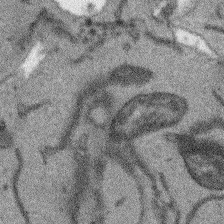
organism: Arabidopsis thaliana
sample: Root tip